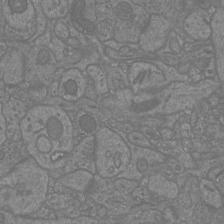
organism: Mouse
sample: Cortical neurons